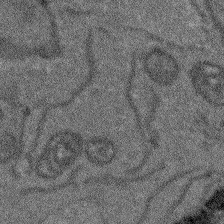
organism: Arabidopsis thaliana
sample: Root tip